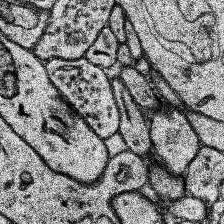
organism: Human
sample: Temporal Lobe